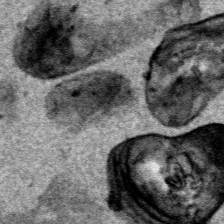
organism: Human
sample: Mitochondria in HCT116 cells